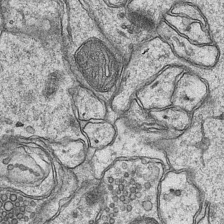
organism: Mouse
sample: CA1 Hippocampus